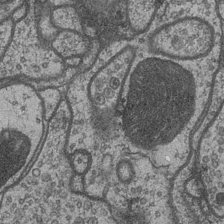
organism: Drosophila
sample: Optic medulla